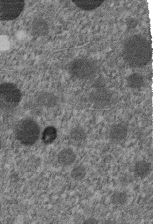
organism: C. elegans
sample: C. elegans embryo early stage